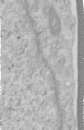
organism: Human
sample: Centriole in RPE cells